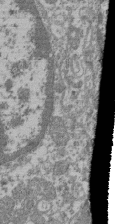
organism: Mouse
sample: Glomerulus